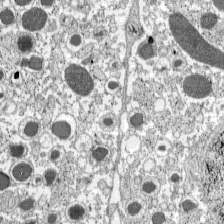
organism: C57BL Mouse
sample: Pancreatic islet